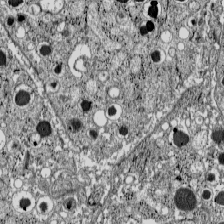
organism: C57BL Mouse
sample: Pancreatic islet